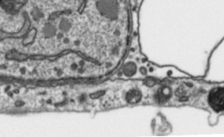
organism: Toxoplasma gondii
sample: Parasites in a vacuole inside a host cell